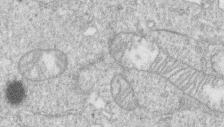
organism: Human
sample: HeLa cell HIV synapse